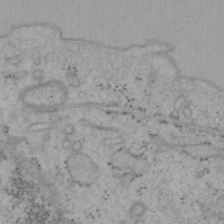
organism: Human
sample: HeLa cells